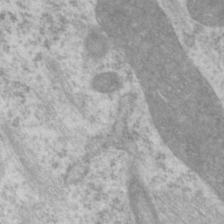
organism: P. pacificus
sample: Pharynx